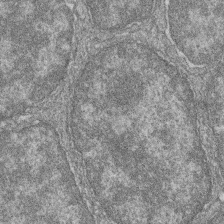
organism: Zebrafish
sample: Cilia; retinal pigment epithelium